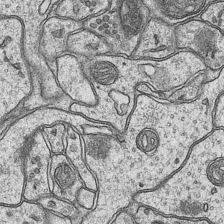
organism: Mouse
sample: CA1 Hippocampus